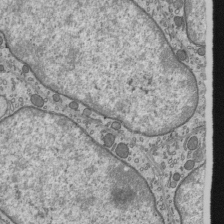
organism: Mouse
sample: Mouse epididymis efferent ductule cilia